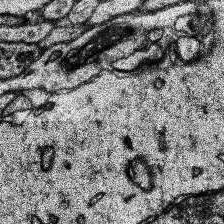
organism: Human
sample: Temporal Lobe